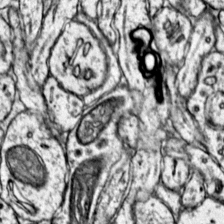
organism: Mouse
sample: Primary visual cortex